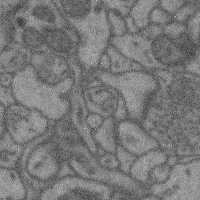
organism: Mouse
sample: Cerebral cortex